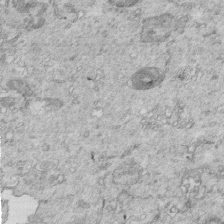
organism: Mouse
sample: Multiciliated cells